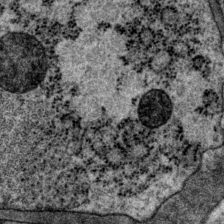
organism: P. pacificus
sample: Pharynx